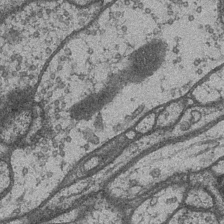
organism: Drosophila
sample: Optic medulla